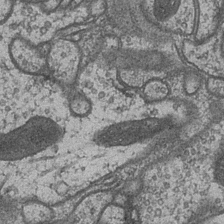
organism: Drosophila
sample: Optic medulla